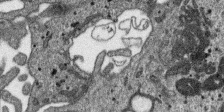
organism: Human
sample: Lung epithelial cells infected with SARS-CoV-2